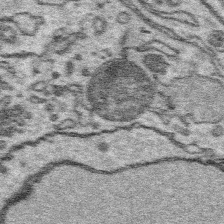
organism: Platynereis dumerilii